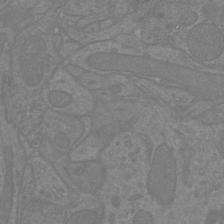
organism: Mouse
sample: Cortical neurons